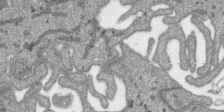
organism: Human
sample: Lung epithelial cells infected with SARS-CoV-2